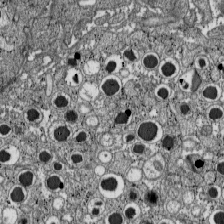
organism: C57BL Mouse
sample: Pancreatic islet